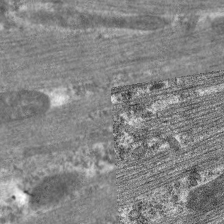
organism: C. elegans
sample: Pharynx